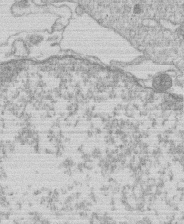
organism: Human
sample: Macrophage cells